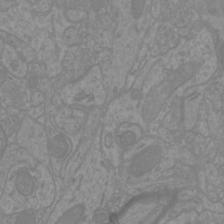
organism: Mouse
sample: Cortical neurons